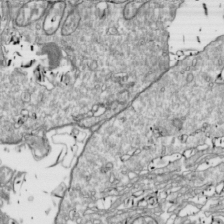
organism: Drosophila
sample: Cell division; meiosis; drosophila spermatocytes